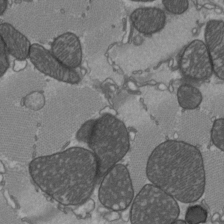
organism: C57BL Mouse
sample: Heart